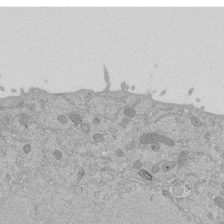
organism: Mouse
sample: ED-1 cell nuclei; centrioles